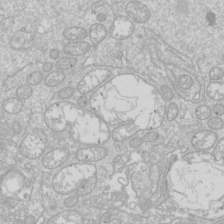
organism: Drosophila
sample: Cell division; meiosis; drosophila spermatocytes